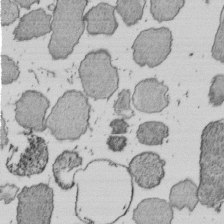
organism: E. coli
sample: Bacterial nucleoid